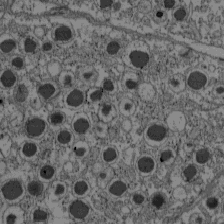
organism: C57BL Mouse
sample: Pancreatic islet